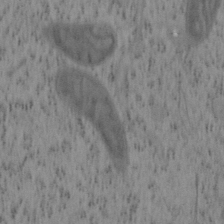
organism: Mouse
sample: OT-I killer T cells with ID8 ovarian cancer cells